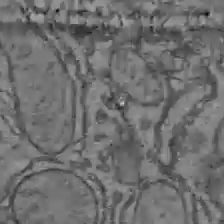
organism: C57BL Mouse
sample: Liver